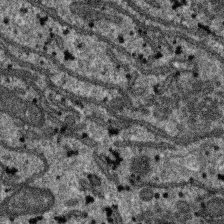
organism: Human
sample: Lung epithelial cells infected with SARS-CoV-2